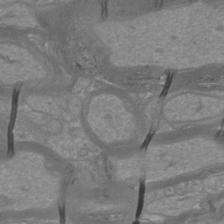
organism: Mouse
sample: Cortical neurons